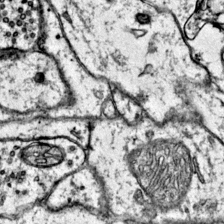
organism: Mouse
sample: Primary visual cortex